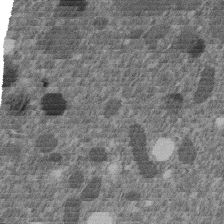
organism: C. elegans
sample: C. elegans embryo early stage